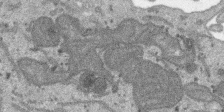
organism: Human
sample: Lung epithelial cells infected with SARS-CoV-2